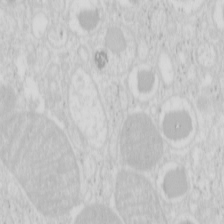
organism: Mouse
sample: Pancreas